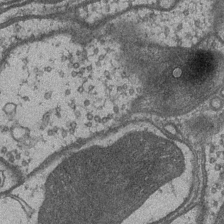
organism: Drosophila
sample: Optic medulla